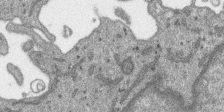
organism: Human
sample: Lung epithelial cells infected with SARS-CoV-2